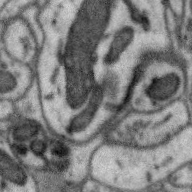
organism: Zebra finch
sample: Brain